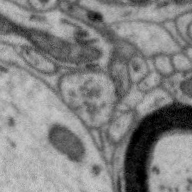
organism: Zebra finch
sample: Brain